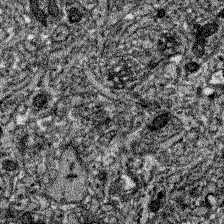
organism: Zebrafish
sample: Larval olfactory bulb